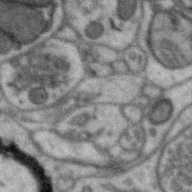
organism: Zebra finch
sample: Brain